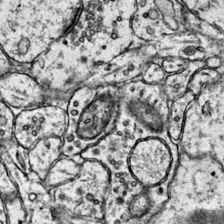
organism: Mouse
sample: Primary visual cortex